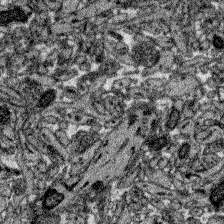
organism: Zebrafish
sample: Larval olfactory bulb